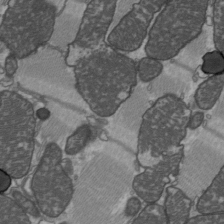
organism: C57BL Mouse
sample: Heart